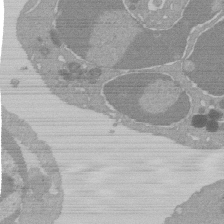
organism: Mouse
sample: Activated Pmel transgenic CD8+ T Cells